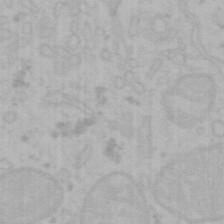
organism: Mouse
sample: Choroid plexus